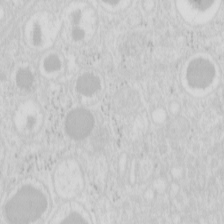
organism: Mouse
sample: Pancreas